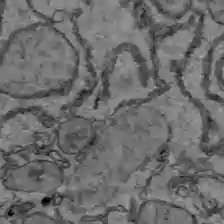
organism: C57BL Mouse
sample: Liver